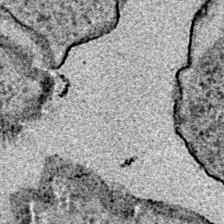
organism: E. coli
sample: E. Coli Bacteria